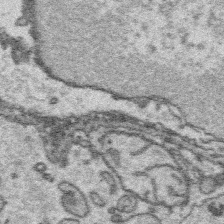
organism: Platynereis dumerilii